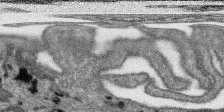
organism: Human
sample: Lung epithelial cells infected with SARS-CoV-2